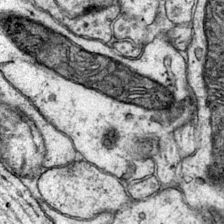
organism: Mouse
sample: Primary visual cortex